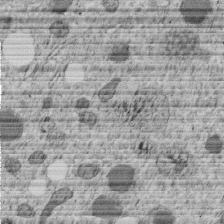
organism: C. elegans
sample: C. elegans embryo early stage